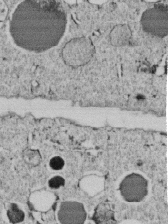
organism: C. elegans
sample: C. elegans embryo early stage